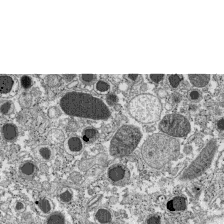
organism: C57BL Mouse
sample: Pancreatic islet